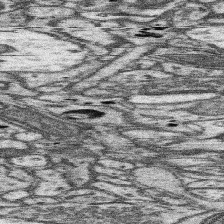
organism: Mouse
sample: Somatosensory cortex neuropil